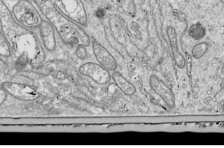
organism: Drosophila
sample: Cell division; meiosis; drosophila spermatocytes